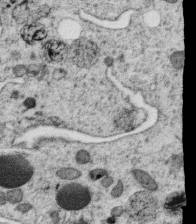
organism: C. elegans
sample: C. elegans oocyte; sperm cells